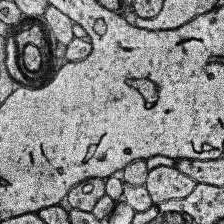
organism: Human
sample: Temporal Lobe